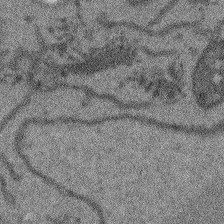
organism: Arabidopsis thaliana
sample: Root tip